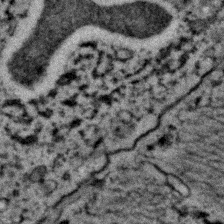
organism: C. elegans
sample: C. elegans embryo